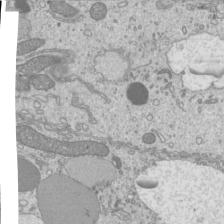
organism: Mouse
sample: Cilia; mouse epididymis